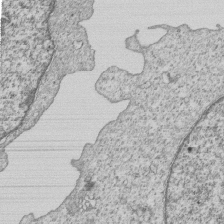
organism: Human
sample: MDA-MB-231 cells